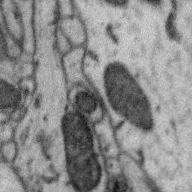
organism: Zebra finch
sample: Brain